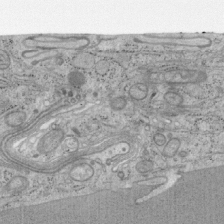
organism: Human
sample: HeLa cells